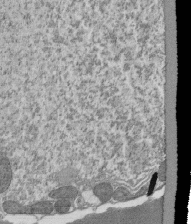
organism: Tetrahymena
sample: Cilia in tetrahymena